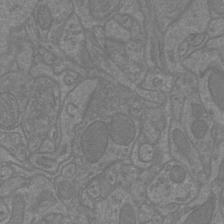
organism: Mouse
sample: Cortical neurons